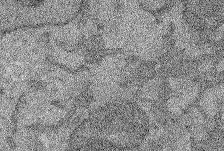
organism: Human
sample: HeLa cells